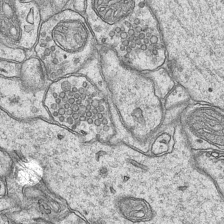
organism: Mouse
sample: CA1 Hippocampus